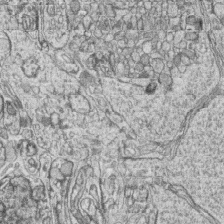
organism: Zebrafish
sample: synaptic ribbons in rod cells and cone cells